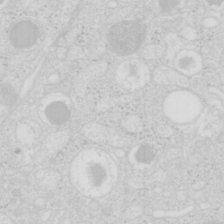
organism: Mouse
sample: Pancreas